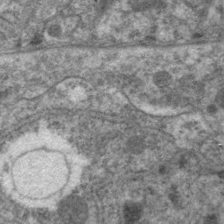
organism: C. elegans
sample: Pharynx